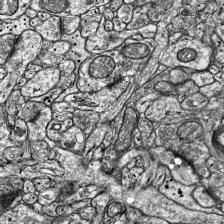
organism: Mouse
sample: Visual Cortex